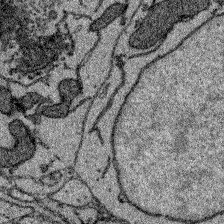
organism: Zebrafish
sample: Larval olfactory bulb